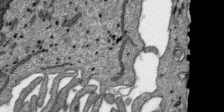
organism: Human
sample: Lung epithelial cells, uninfected (mock) control